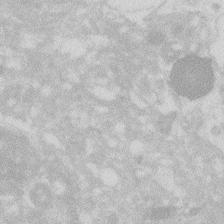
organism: Zebrafish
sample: Macrophage